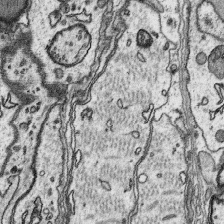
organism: Platynereis dumerilii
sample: Parapodia